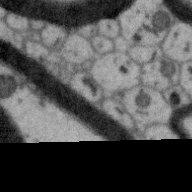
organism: Zebra finch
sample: Brain